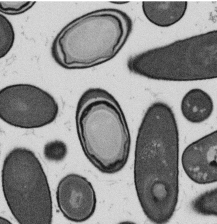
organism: B. subtilis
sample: Bacterial spore